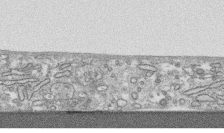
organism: Human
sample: CRL-1474